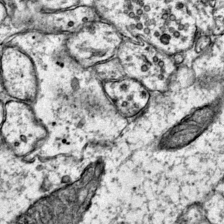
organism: Mouse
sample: Primary visual cortex